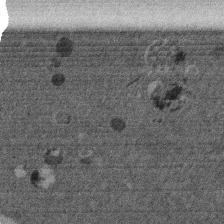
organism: Mouse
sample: Dividing mouse embryo 1 cell stage